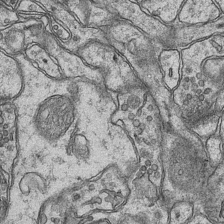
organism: Mouse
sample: CA1 Hippocampus